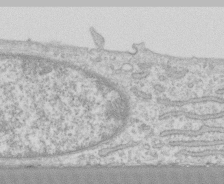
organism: Human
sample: CRL-1474